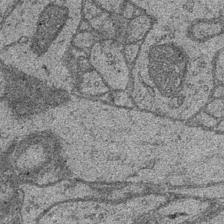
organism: Drosophila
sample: Optic medulla